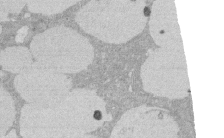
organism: Rat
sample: Salivary granule